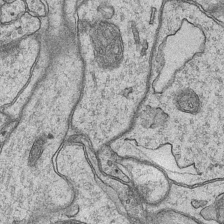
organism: Mouse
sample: CA1 Hippocampus